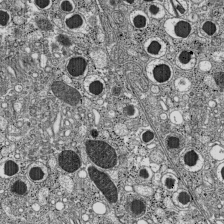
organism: C57BL Mouse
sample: Pancreatic islet